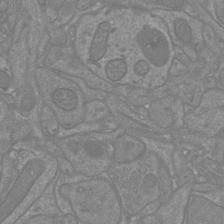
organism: Mouse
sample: Cortical neurons